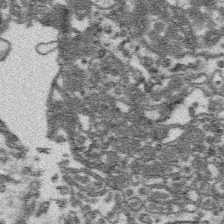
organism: Platynereis dumerilii